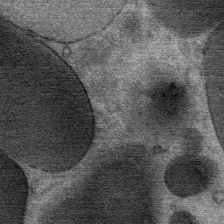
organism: Mouse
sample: Mouse Salivary gland